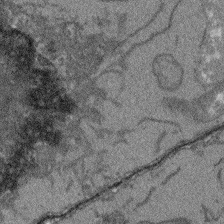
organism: Arabidopsis thaliana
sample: Root tip